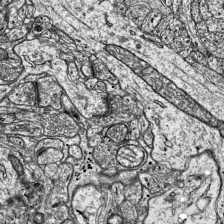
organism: Mouse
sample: Visual Cortex